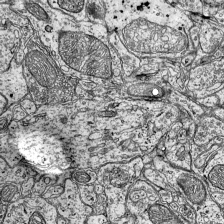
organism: Mouse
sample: Visual Cortex